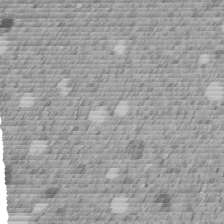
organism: C. elegans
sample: C. elegans embryo early stage